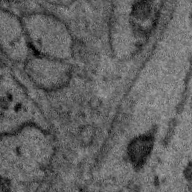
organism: Zebra finch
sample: Brain